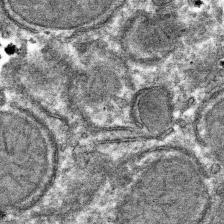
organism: Mouse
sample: Mouse hepatocytes